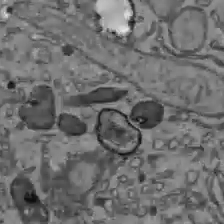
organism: C57BL Mouse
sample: Liver